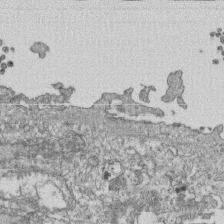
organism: Human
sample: HeLa cell HIV synapse